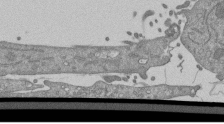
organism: Mouse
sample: ED-1 cell nuclei; centrioles